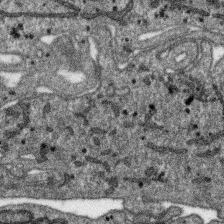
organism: Human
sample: Lung epithelial cells infected with SARS-CoV-2